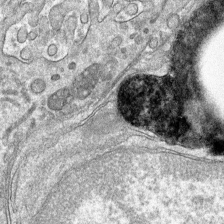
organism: Mouse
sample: Mouse hepatocytes